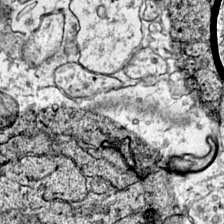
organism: Mouse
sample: Primary visual cortex